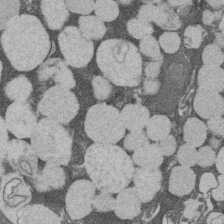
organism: Rat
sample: Salivary granule